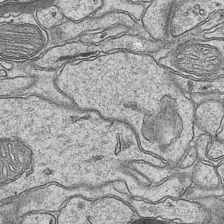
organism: Mouse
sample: CA1 Hippocampus